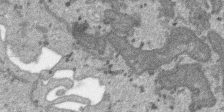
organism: Human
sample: Lung epithelial cells infected with SARS-CoV-2